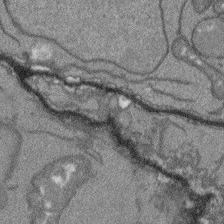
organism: Arabidopsis thaliana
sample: Root tip